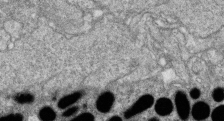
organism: Zebrafish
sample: Cilia; retinal pigment epithelium